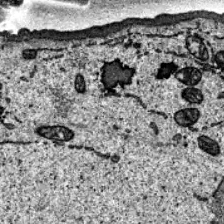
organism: Human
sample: HeLa cells